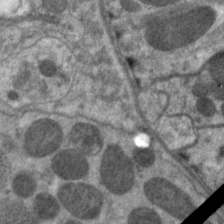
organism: C. elegans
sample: Pharynx